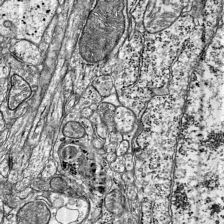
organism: Mouse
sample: Visual Cortex